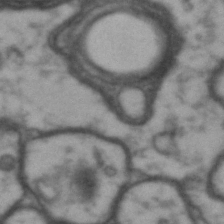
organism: Drosophila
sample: Brain